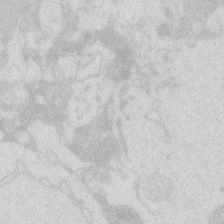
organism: Zebrafish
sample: Macrophage